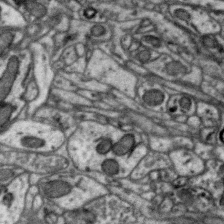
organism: Zebra finch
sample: Brain